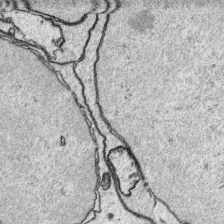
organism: Platynereis dumerilii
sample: Parapodia